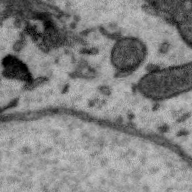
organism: Zebra finch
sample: Brain